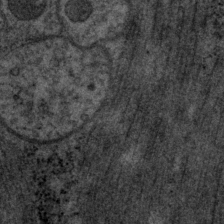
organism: P. pacificus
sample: Pharynx